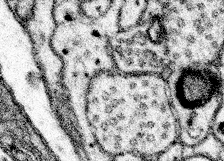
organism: Mouse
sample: Somatosensory cortex neuropil